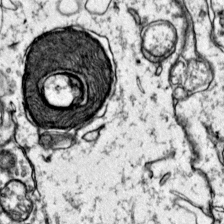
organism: Mouse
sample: Primary visual cortex